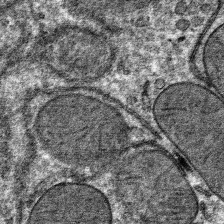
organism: Mouse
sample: Mouse hepatocytes